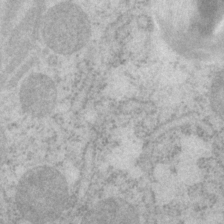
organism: P. pacificus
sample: Pharynx